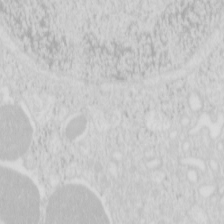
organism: Mouse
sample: Pancreas